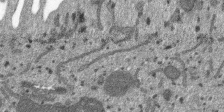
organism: Human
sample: Lung epithelial cells infected with SARS-CoV-2